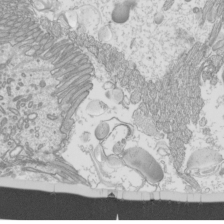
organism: Mouse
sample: Cilia; mouse epididymis